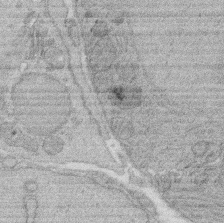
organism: Rat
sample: Salivary granule